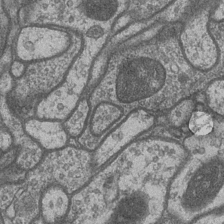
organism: Drosophila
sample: Optic medulla